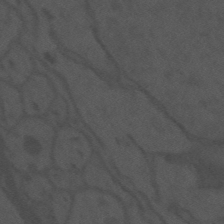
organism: Mouse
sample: Suprachiasmatic nucleus